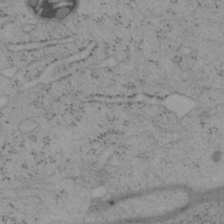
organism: Mouse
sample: OT-I killer T cells with ID8 ovarian cancer cells